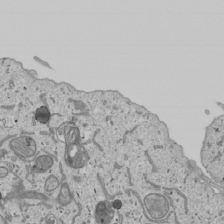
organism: Human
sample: Mitochondria in U2OS cells